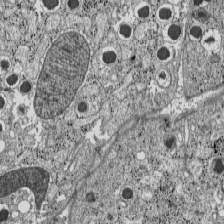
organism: C57BL Mouse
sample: Pancreatic islet